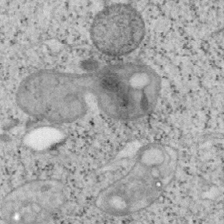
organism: Mouse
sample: OT-I killer T cells with ID8 ovarian cancer cells